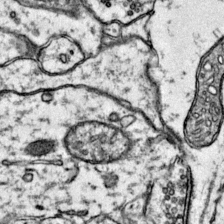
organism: Mouse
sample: Primary visual cortex